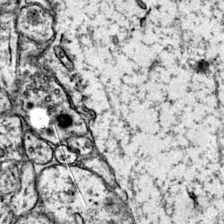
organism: Mouse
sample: Primary visual cortex